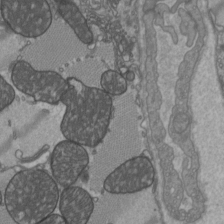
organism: C57BL Mouse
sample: Heart